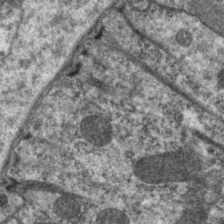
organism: C. elegans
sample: Pharynx